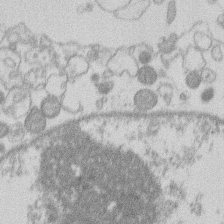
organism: Human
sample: Macrophage cells